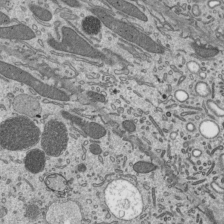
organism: Mouse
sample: Mouse epididymis efferent ductule cilia